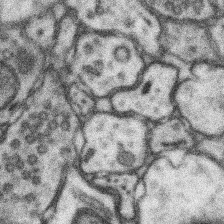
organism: Mouse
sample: Somatosensory cortex neuropil